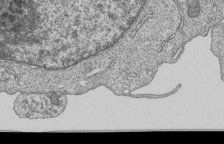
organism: Human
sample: MDA-MB-231 cells